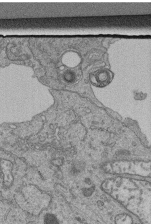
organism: Human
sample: Retinal organoid Rod and Cone cells